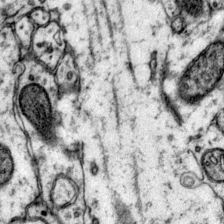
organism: Mouse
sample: Primary visual cortex